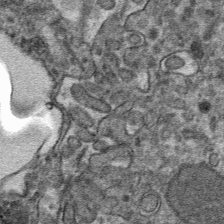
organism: Mouse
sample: Mouse hepatocytes